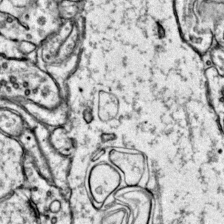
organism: Mouse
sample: Primary visual cortex